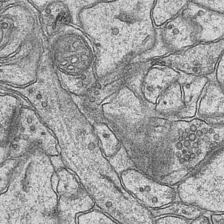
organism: Mouse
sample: CA1 Hippocampus